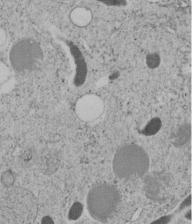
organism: C. elegans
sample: C. elegans embryo early stage